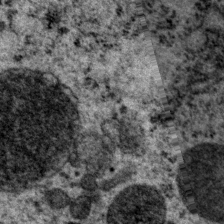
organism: P. pacificus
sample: Pharynx